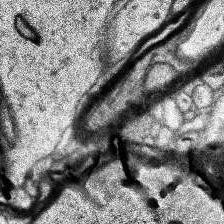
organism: Human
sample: Temporal Lobe